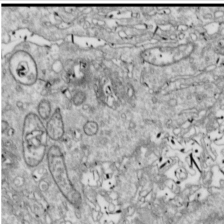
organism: Drosophila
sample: Cell division; meiosis; drosophila spermatocytes